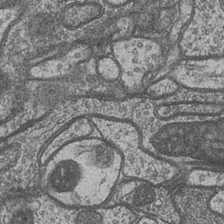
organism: Drosophila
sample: Optic medulla